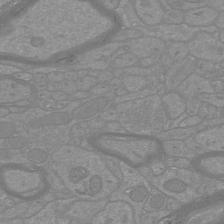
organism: Mouse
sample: Cortical neurons